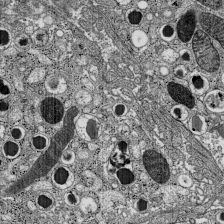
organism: C57BL Mouse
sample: Pancreatic islet